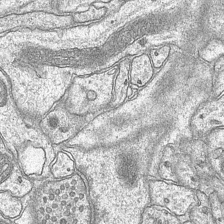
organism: Mouse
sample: CA1 Hippocampus